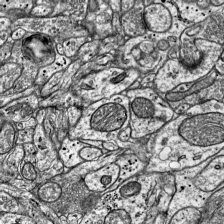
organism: Mouse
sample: Visual Cortex